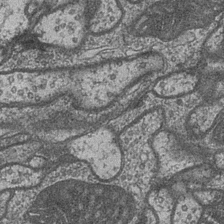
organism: Drosophila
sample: Optic medulla